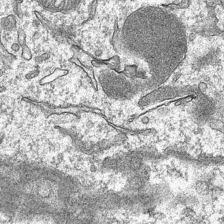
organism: Mouse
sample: CA1 Hippocampus